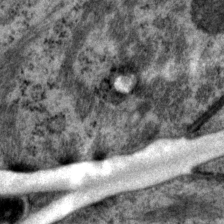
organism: P. pacificus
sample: Pharynx